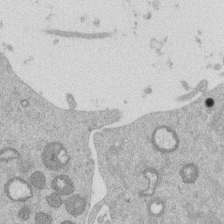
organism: Mouse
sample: Dividing mouse embryo 1 cell stage